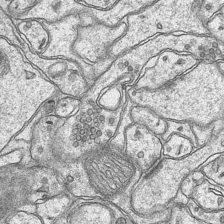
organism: Mouse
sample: CA1 Hippocampus